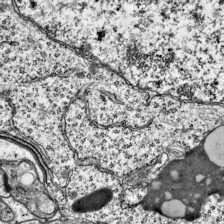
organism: Mouse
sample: Visual Cortex